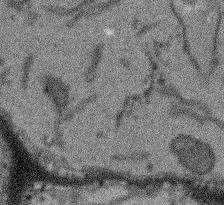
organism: Arabidopsis thaliana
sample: Root tip